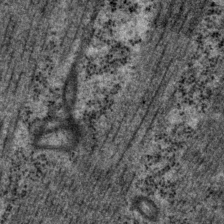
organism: P. pacificus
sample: Pharynx